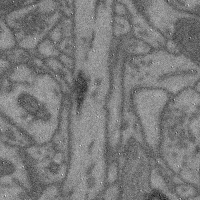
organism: Mouse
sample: Cerebral cortex